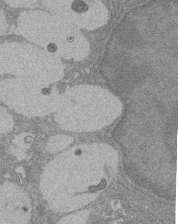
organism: Rat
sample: Salivary granule